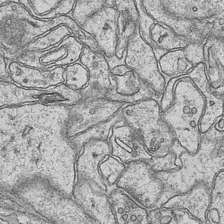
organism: Mouse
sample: CA1 Hippocampus